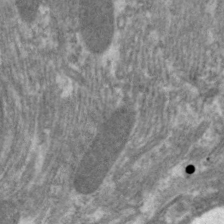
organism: C. elegans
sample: Pharynx